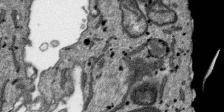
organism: Human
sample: Lung epithelial cells, uninfected (mock) control